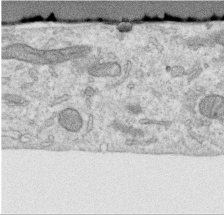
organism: Human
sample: Centriole in RPE cells